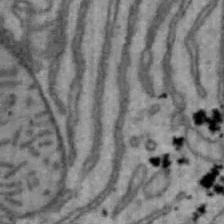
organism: Mouse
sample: Liver